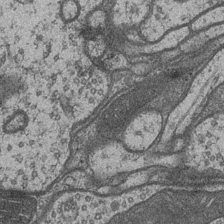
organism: Drosophila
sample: Optic medulla